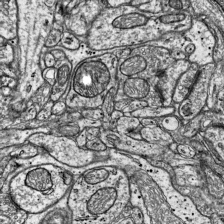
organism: Mouse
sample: Visual Cortex